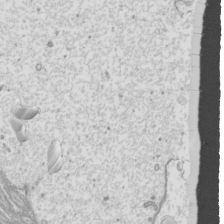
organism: Mouse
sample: Cilia; mouse epididymis